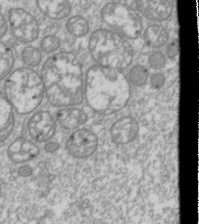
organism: Drosophila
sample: Cell division; meiosis; drosophila spermatocytes